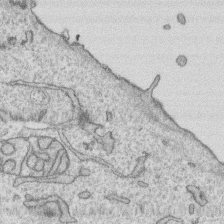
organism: Human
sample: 1205lu cells